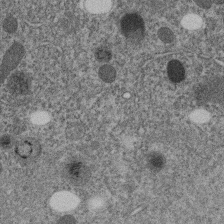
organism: C. elegans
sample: C. elegans embryo early stage